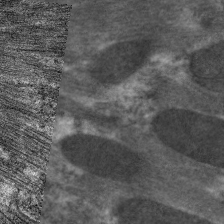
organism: C. elegans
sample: Pharynx